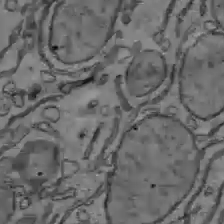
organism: C57BL Mouse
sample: Liver